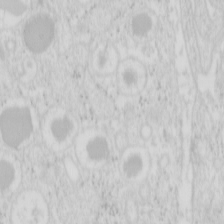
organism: Mouse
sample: Pancreas